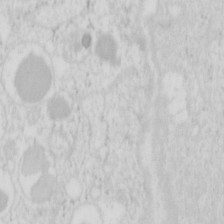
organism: Mouse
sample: Pancreas